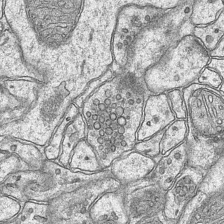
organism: Mouse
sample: CA1 Hippocampus